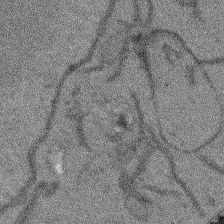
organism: Arabidopsis thaliana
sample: Root tip